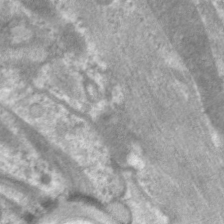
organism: C. elegans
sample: Pharynx